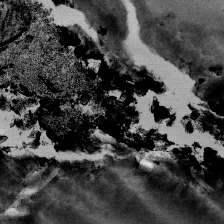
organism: Mouse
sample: Mouse Salivary gland